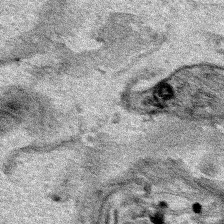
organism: Human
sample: Mitochondria in HCT116 cells